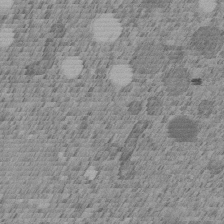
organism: C. elegans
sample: C. elegans embryo early stage